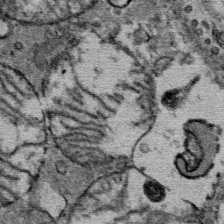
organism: Mouse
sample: Mouse Salivary gland